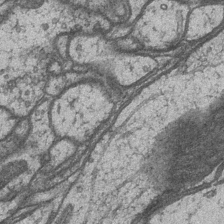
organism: Drosophila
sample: Optic medulla